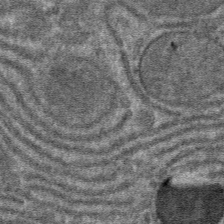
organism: Mouse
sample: Mouse hepatocytes